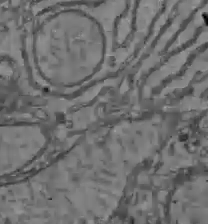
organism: C57BL Mouse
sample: Liver